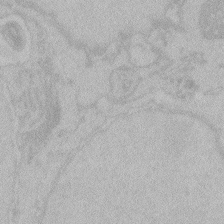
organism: Zebrafish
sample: Macrophage infected with Toxoplasma gondii